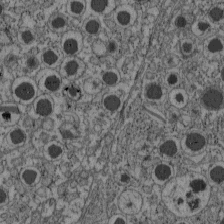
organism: C57BL Mouse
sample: Pancreatic islet